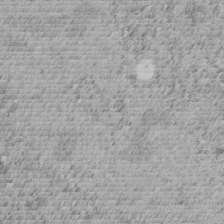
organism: C. elegans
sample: C. elegans embryo early stage